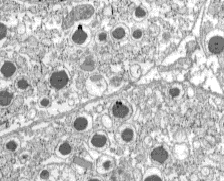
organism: C57BL Mouse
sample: Pancreatic islet